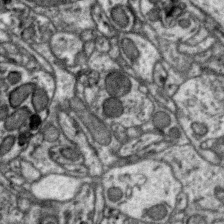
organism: Zebra finch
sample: Brain